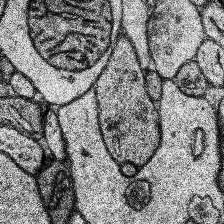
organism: Human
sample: Temporal Lobe